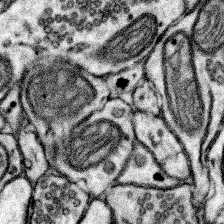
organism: Mouse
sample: Somatosensory cortex neuropil